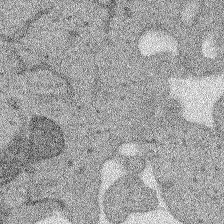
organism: Human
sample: HeLa cells